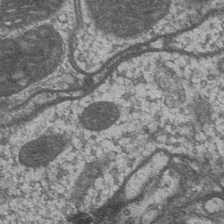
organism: Drosophila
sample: Optic medulla